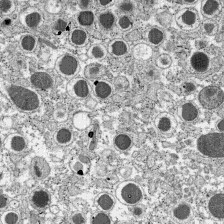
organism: C57BL Mouse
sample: Pancreatic islet